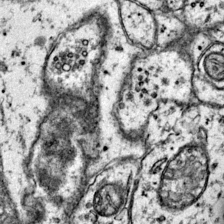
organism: Mouse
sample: Primary visual cortex